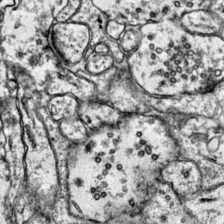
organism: Mouse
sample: Primary visual cortex